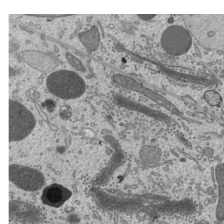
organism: Mouse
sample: Mouse epididymis efferent ductule cilia